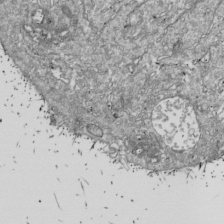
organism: Drosophila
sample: Cell division; meiosis; drosophila spermatocytes